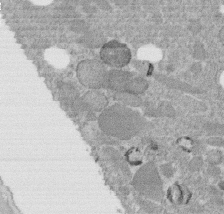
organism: C. elegans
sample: C. elegans embryo early stage